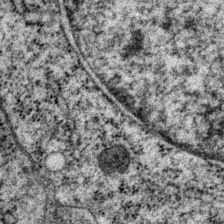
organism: P. pacificus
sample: Pharynx